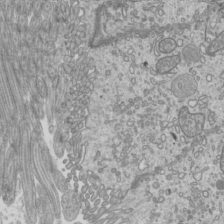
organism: Mouse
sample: Cilia; mouse epididymis